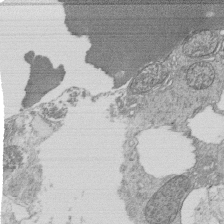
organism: Tetrahymena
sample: Cilia in tetrahymena